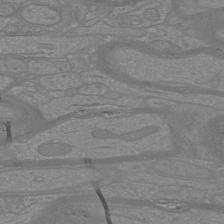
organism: Mouse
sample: Cortical neurons